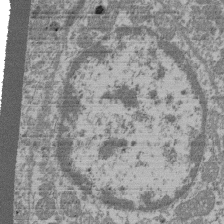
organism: Mouse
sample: Glomerulus